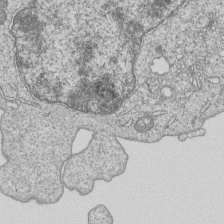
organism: Human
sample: MDA-MB-231 cells